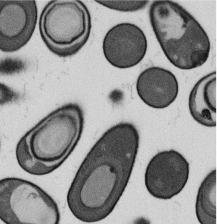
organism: B. subtilis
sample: Bacterial spore